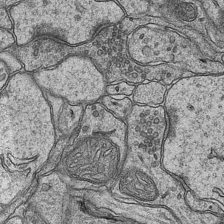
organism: Mouse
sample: CA1 Hippocampus